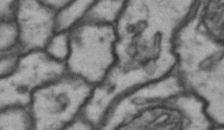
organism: Drosophila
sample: Brain